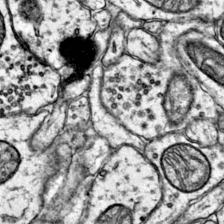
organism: Mouse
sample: Primary visual cortex